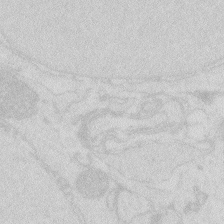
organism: Zebrafish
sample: Macrophage